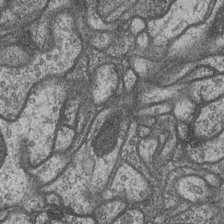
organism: Drosophila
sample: Optic medulla